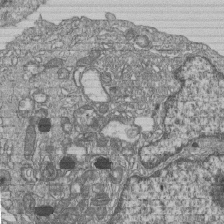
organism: Human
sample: MDA-MB-231 cells